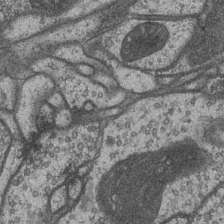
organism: Drosophila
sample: Optic medulla